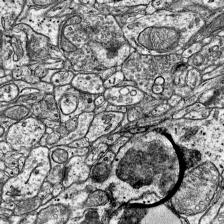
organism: Mouse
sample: Visual Cortex